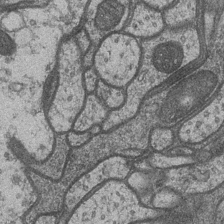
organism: Drosophila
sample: Optic medulla